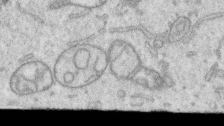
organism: Human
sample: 1205lu cells